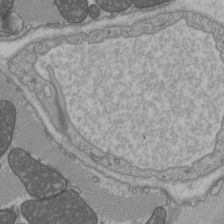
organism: C57BL Mouse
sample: Heart